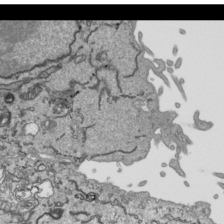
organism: Human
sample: Mitochondria in HCT116 cells